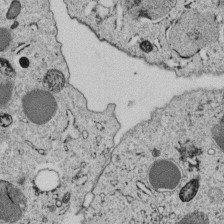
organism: C. elegans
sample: C. elegans embryo early stage